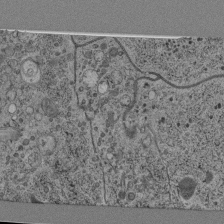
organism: C. elegans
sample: C. elegans pharynx